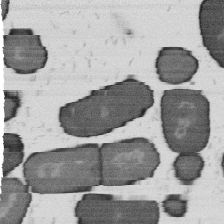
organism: B. subtilis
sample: Bacterial spore